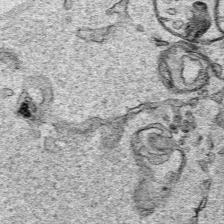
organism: Human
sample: Mitochondria in HCT116 cells